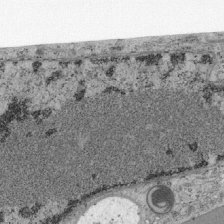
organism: Human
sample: HeLa cells